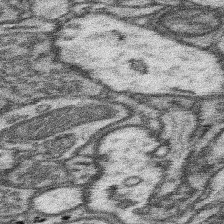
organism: Mouse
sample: Somatosensory cortex neuropil